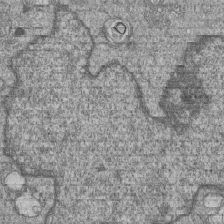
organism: Human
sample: MDA-MB-231 cells